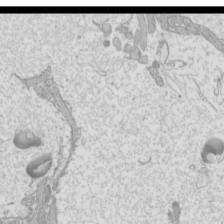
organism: Mouse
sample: Cilia; mouse epididymis